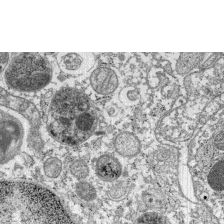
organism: C57BL Mouse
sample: Pancreatic islet